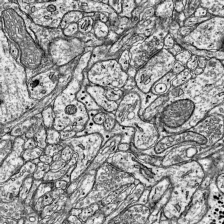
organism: Mouse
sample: Visual Cortex